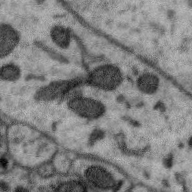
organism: Zebra finch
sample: Brain